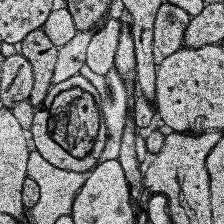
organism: Human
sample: Temporal Lobe